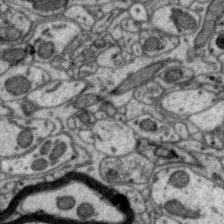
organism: Zebra finch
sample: Brain